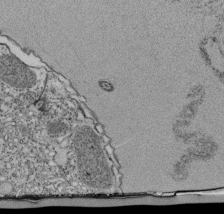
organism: Tetrahymena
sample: Cilia in tetrahymena